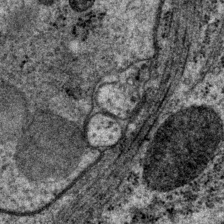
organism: P. pacificus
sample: Pharynx